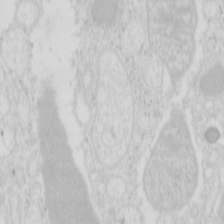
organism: Mouse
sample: Pancreas